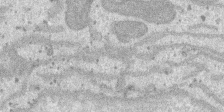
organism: Human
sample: Lung epithelial cells infected with SARS-CoV-2